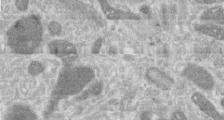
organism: Human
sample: Centriole in RPE cells